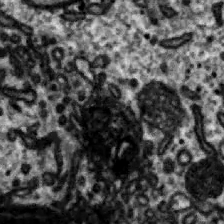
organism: Human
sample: HeLa cells